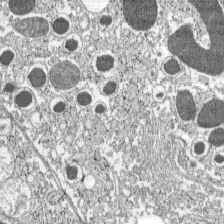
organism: C57BL Mouse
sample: Pancreatic islet